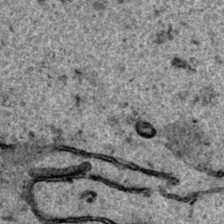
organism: Human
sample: Mitochondria in HCT116 cells